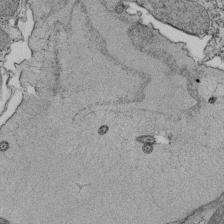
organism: Tetrahymena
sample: Cilia in tetrahymena